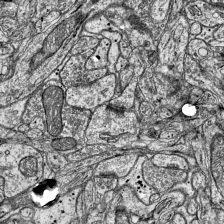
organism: Mouse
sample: Visual Cortex